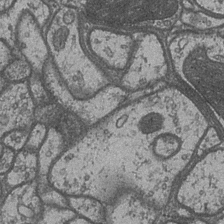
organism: Drosophila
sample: Optic medulla